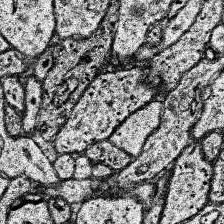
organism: Human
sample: Temporal Lobe